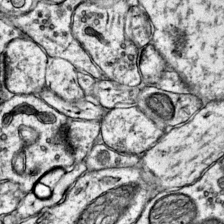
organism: Mouse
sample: Primary visual cortex